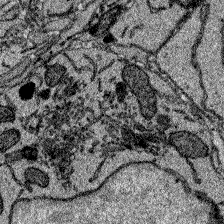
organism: Zebrafish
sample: Larval olfactory bulb